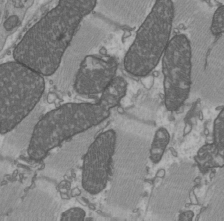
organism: C57BL Mouse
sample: Heart